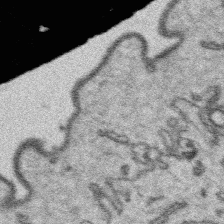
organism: Platynereis dumerilii